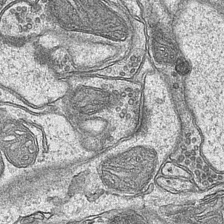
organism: Mouse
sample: CA1 Hippocampus